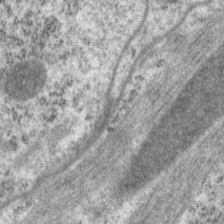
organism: P. pacificus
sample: Pharynx